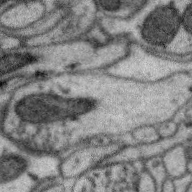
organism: Zebra finch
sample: Brain